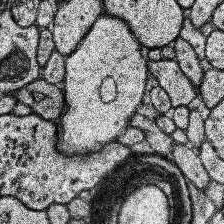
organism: Human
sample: Temporal Lobe